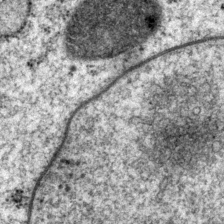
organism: P. pacificus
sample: Pharynx